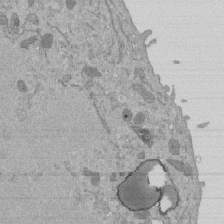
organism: Mouse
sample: ED-1 cell nuclei; centrioles